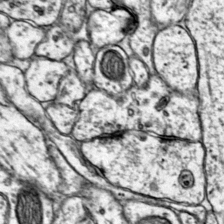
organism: Mouse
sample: Primary visual cortex